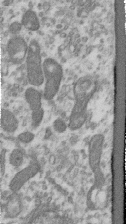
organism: Human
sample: Centriole in RPE cells